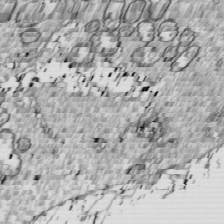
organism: Drosophila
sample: Cell division; meiosis; drosophila spermatocytes